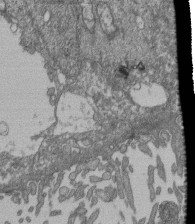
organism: Human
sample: Retinal organoid Rod and Cone cells